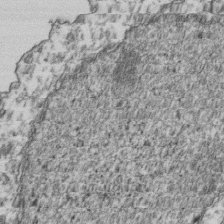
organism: Human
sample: Activated Jurkat CD4+ T cells